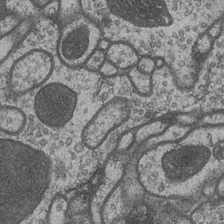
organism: Drosophila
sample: Optic medulla